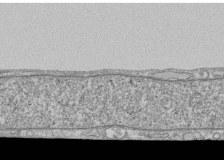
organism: Human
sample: Fibroblast cells